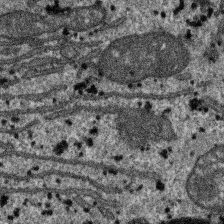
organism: Human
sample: Lung epithelial cells infected with SARS-CoV-2